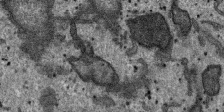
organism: Human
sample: Lung epithelial cells, uninfected (mock) control